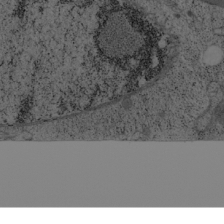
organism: African green monkey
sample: COS-7 cells